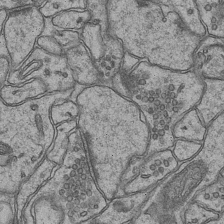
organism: Mouse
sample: CA1 Hippocampus